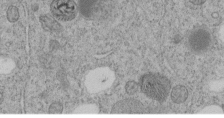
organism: C. elegans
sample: C. elegans embryo early stage